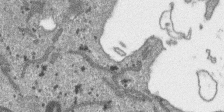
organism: Human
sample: Lung epithelial cells infected with SARS-CoV-2